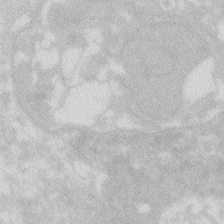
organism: Zebrafish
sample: Macrophage